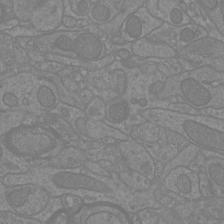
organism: Mouse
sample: Cortical neurons